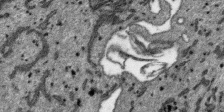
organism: Human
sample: Lung epithelial cells, uninfected (mock) control